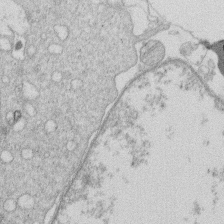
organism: Human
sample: Macrophage cells